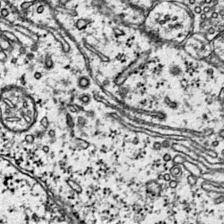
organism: Mouse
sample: Primary visual cortex